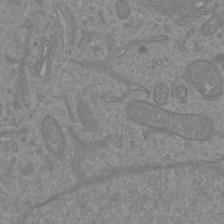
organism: Mouse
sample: Cortical neurons